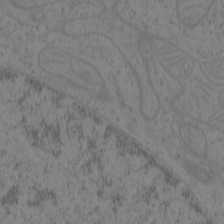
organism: Human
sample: HeLa cells